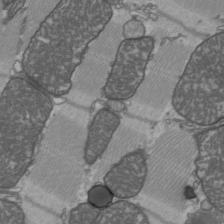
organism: C57BL Mouse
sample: Heart